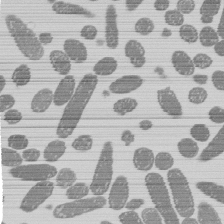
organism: E. coli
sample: Bacterial nucleoid